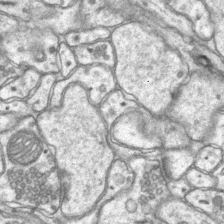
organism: Mouse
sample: CA1 Hippocampus